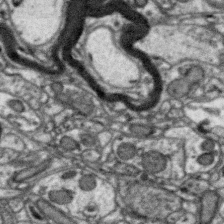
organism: Zebra finch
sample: Brain